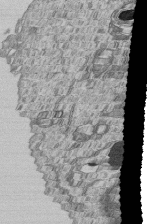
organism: Human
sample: MDA-MB-231 cells